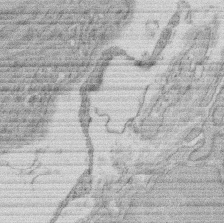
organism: Rat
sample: Salivary granule